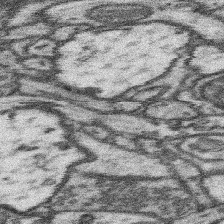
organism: Mouse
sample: Somatosensory cortex neuropil